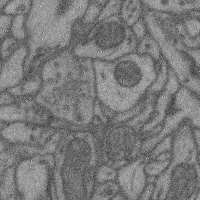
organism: Mouse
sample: Cerebral cortex